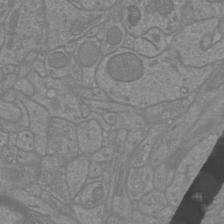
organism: Mouse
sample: Cortical neurons